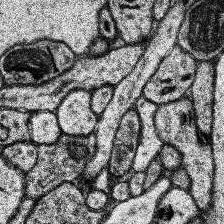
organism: Human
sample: Temporal Lobe